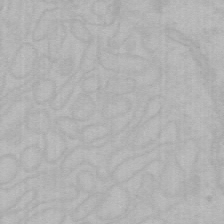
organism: Mouse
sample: Choroid plexus